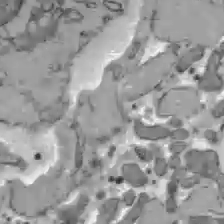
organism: C57BL Mouse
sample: Liver